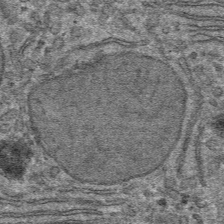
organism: Mouse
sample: Mouse hepatocytes